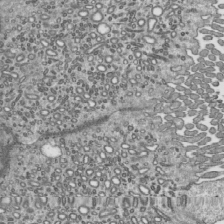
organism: Mouse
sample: Mouse epididymis efferent ductule cilia